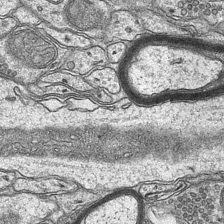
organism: Mouse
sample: CA1 Hippocampus